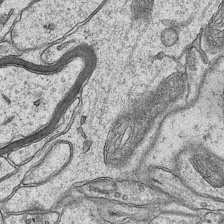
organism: Mouse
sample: CA1 Hippocampus